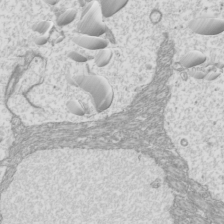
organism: Mouse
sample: Cilia; mouse epididymis